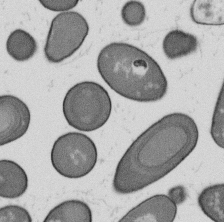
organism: B. subtilis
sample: Bacterial spore